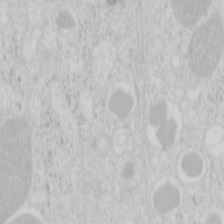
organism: Mouse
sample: Pancreas